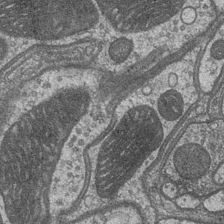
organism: Drosophila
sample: Optic medulla